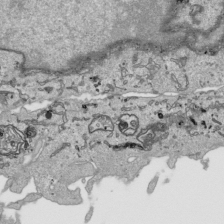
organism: Human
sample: Mitochondria in HCT116 cells